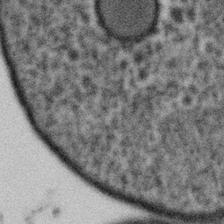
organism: Gemmata obscuriglobus